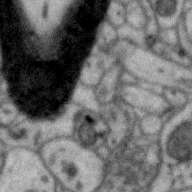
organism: Zebra finch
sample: Brain